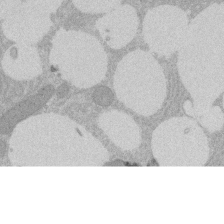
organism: Rat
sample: Salivary granule